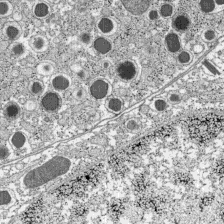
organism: C57BL Mouse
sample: Pancreatic islet